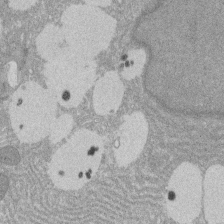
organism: Rat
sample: Salivary granule